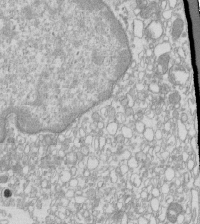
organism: Mouse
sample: Macrophages